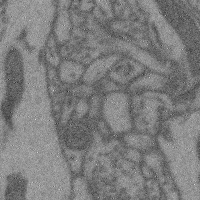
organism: Mouse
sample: Cerebral cortex